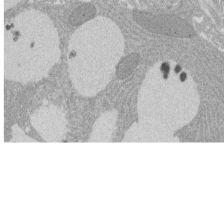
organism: Rat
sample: Salivary granule